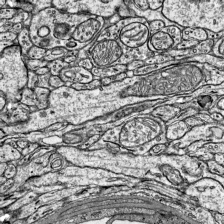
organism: Mouse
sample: Visual Cortex